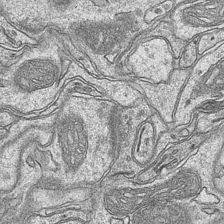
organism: Mouse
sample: CA1 Hippocampus